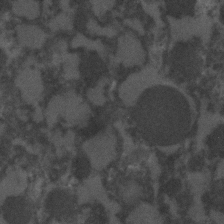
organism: C. elegans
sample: C. elegans embryo